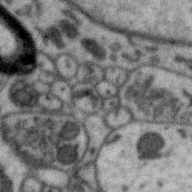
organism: Zebra finch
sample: Brain